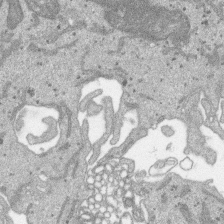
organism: Human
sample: Lung epithelial cells infected with SARS-CoV-2